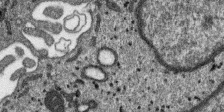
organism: Human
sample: Lung epithelial cells infected with SARS-CoV-2